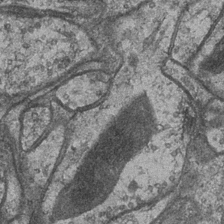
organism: Drosophila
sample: Optic medulla